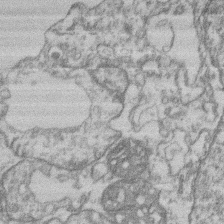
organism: Mouse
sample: T cell stromal cell synapse